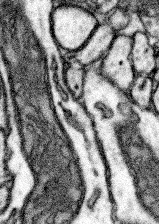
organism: Mouse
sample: Somatosensory cortex neuropil